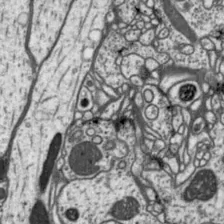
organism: Drosophila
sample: Protocerebral bridge